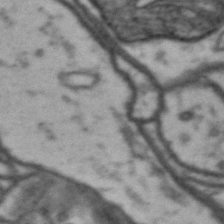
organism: Drosophila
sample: Brain